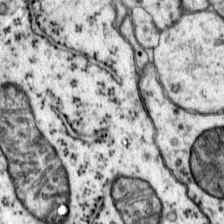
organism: Mouse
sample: Primary visual cortex